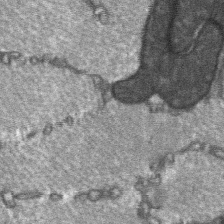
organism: C57BL Mouse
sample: Soleus